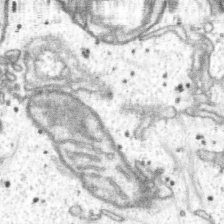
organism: Human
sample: HeLa cells